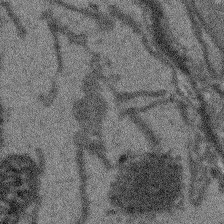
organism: Arabidopsis thaliana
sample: Root tip